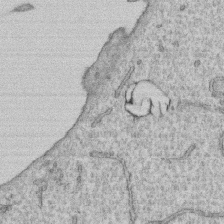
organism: Human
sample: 1205lu cells